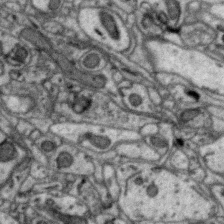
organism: Zebra finch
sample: Brain